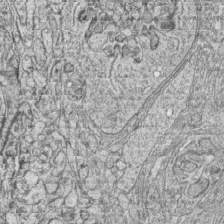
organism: Zebrafish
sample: synaptic ribbons in rod cells and cone cells